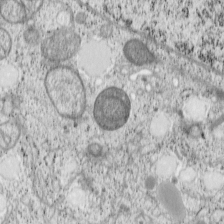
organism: African green monkey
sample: COS-7 cells